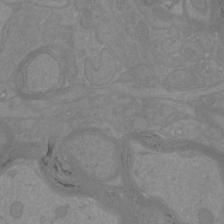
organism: Mouse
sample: Cortical neurons